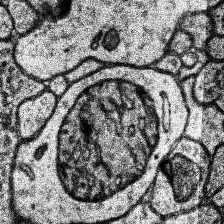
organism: Human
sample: Temporal Lobe